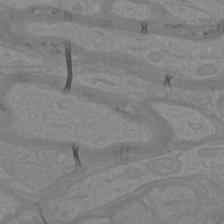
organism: Mouse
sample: Cortical neurons